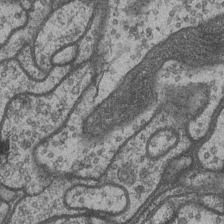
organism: Drosophila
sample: Optic medulla